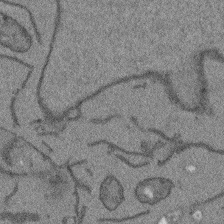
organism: Arabidopsis thaliana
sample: Root tip